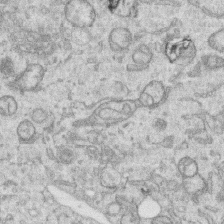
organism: Human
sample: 1205lu cells